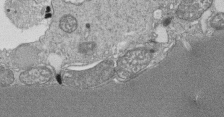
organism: Tetrahymena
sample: Cilia in tetrahymena